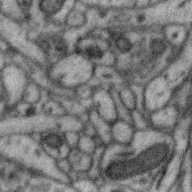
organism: Zebra finch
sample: Brain